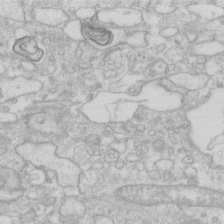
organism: Human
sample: Fibroblast cells